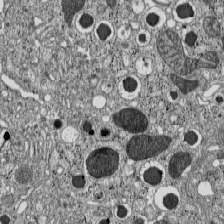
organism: C57BL Mouse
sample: Pancreatic islet